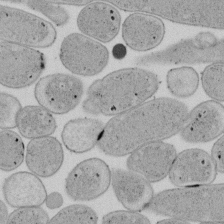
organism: E. coli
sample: Bacterial nucleoid